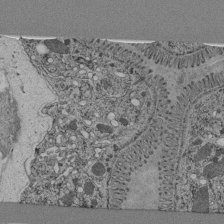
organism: C. elegans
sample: C. elegans pharynx